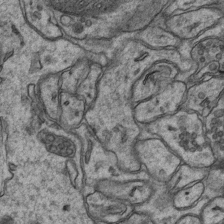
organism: Mouse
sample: CA1 Hippocampus